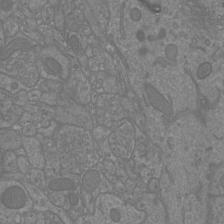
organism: Mouse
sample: Cortical neurons